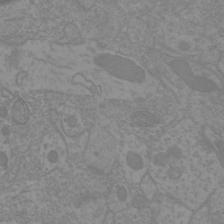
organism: Mouse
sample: Cortical neurons